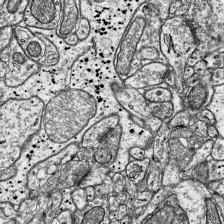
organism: Mouse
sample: Visual Cortex